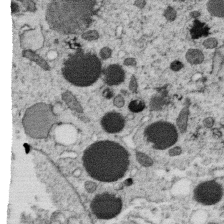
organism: C. elegans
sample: C. elegans oocyte; sperm cells